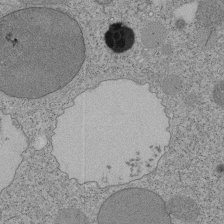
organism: Tetrahymena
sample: Cilia in tetrahymena